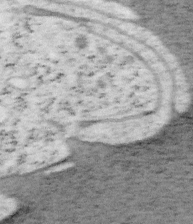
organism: Mouse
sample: OT-I killer T cells with ID8 ovarian cancer cells